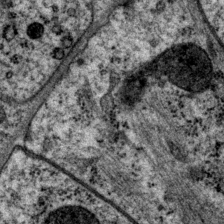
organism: P. pacificus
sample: Pharynx